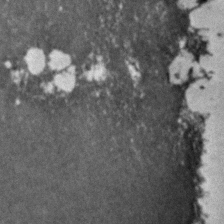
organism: Zebrafish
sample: Zebrafish embryo